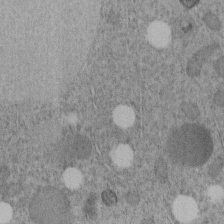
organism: C. elegans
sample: C. elegans embryo early stage